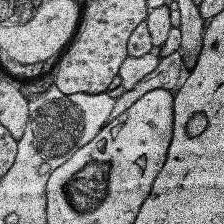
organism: Human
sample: Temporal Lobe